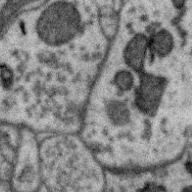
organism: Zebra finch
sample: Brain